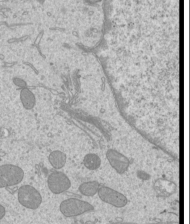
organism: Mouse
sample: Cilia; mouse epididymis